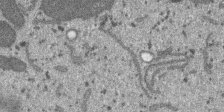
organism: Human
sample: Lung epithelial cells infected with SARS-CoV-2